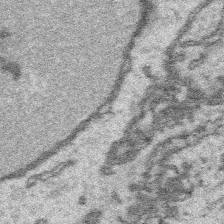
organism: Platynereis dumerilii